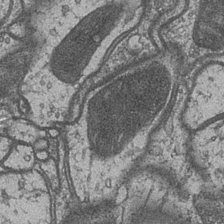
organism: Drosophila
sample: Optic medulla